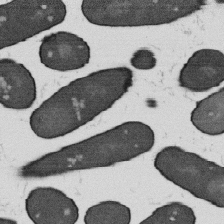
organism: B. subtilis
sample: Bacterial spore